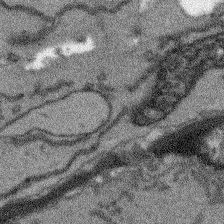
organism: Arabidopsis thaliana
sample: Root tip